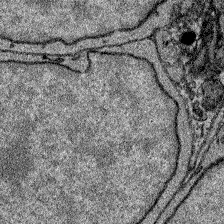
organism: Zebrafish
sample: Larval olfactory bulb